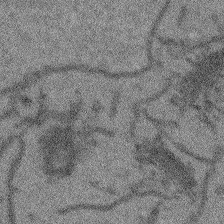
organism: Arabidopsis thaliana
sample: Root tip